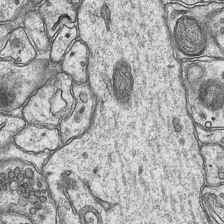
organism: Mouse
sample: CA1 Hippocampus